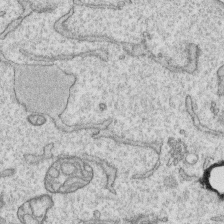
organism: Human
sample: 1205lu cells